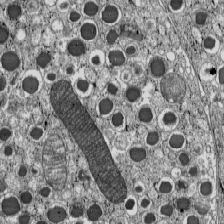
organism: C57BL Mouse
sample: Pancreatic islet